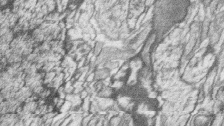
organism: Zebrafish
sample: synaptic ribbons in rod cells and cone cells